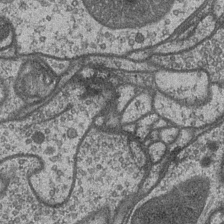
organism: Drosophila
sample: Optic medulla